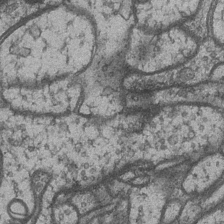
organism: Drosophila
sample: Optic medulla